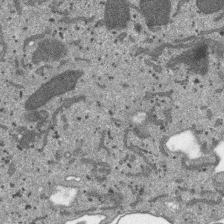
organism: Human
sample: Lung epithelial cells infected with SARS-CoV-2